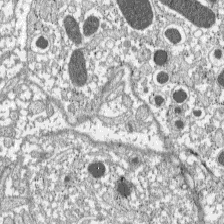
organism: C57BL Mouse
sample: Pancreatic islet